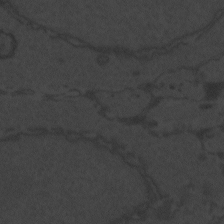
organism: Zebrafish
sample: Macrophage infected with Toxoplasma gondii